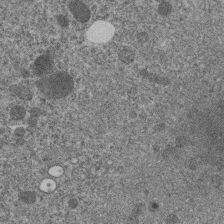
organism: C. elegans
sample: C. elegans embryo early stage